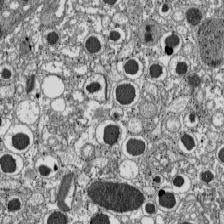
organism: C57BL Mouse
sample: Pancreatic islet